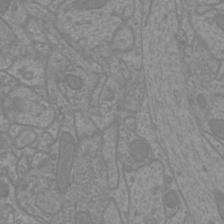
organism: Mouse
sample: Cortical neurons